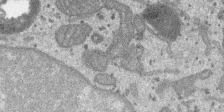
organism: Human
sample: Lung epithelial cells infected with SARS-CoV-2